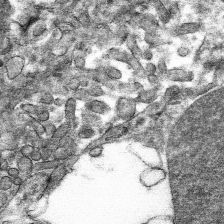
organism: Mouse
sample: Mouse hepatocytes